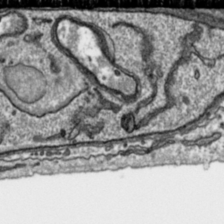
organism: Toxoplasma gondii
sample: Parasites in a vacuole inside a host cell